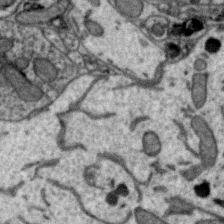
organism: Zebra finch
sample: Brain